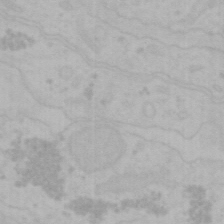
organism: Mouse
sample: Choroid plexus